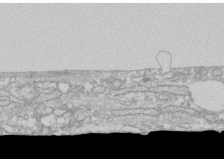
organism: Human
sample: CRL-1474